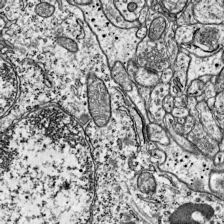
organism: Mouse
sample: Visual Cortex